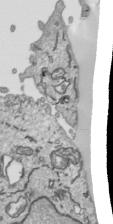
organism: Human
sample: Mitochondria in HCT116 cells